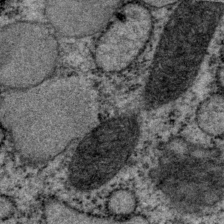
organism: P. pacificus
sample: Pharynx